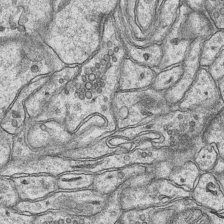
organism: Mouse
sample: CA1 Hippocampus